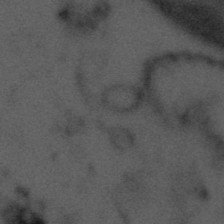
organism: Tuwongella immobilis